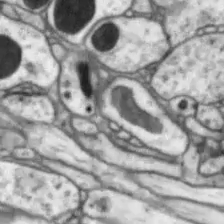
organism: Drosophila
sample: Optic lobe